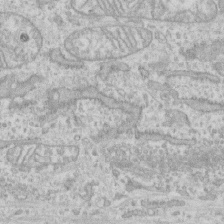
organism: Human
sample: CRL-1474